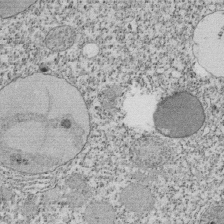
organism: Tetrahymena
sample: Cilia in tetrahymena